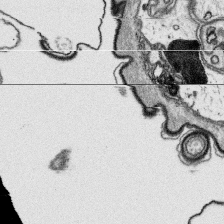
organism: Platynereis dumerilii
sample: Parapodia